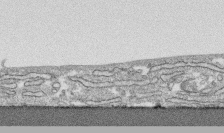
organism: Human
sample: CRL-1474